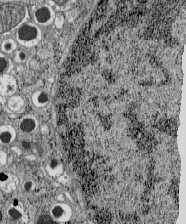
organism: C57BL Mouse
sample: Pancreatic islet